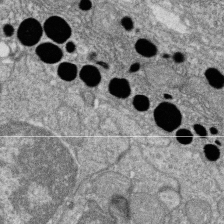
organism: Zebrafish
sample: Cilia; retinal pigment epithelium